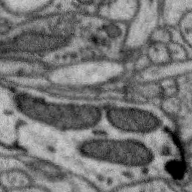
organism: Zebra finch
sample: Brain